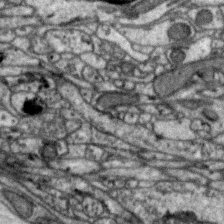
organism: Zebra finch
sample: Brain